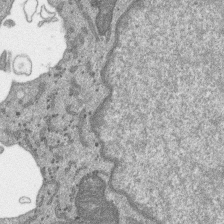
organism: Human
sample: Lung epithelial cells infected with SARS-CoV-2